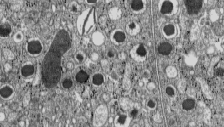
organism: C57BL Mouse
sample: Pancreatic islet